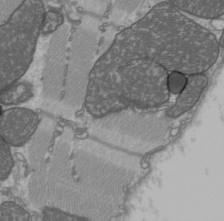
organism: C57BL Mouse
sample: Heart